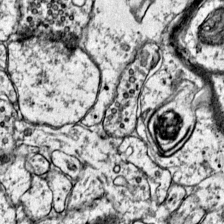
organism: Mouse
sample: Primary visual cortex